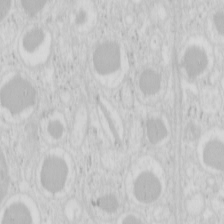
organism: Mouse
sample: Pancreas